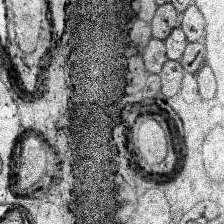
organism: Human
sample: Temporal Lobe